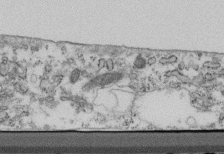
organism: Mouse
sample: Cilia; retinal pigment epithelium